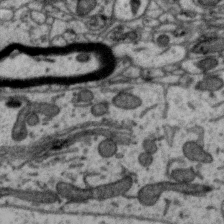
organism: Zebra finch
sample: Brain